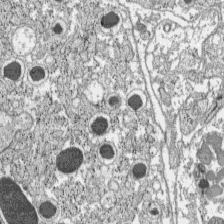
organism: C57BL Mouse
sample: Pancreatic islet